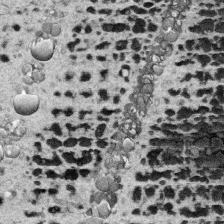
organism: Human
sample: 1205lu cells